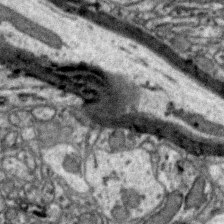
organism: Zebra finch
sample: Brain